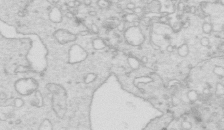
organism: Mouse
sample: Multiciliated cells